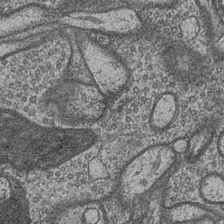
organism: Drosophila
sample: Optic medulla